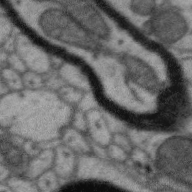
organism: Zebra finch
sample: Brain